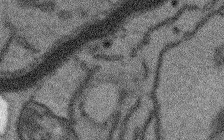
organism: Arabidopsis thaliana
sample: Root tip